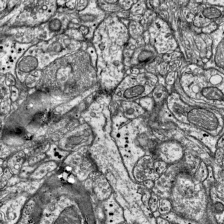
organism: Mouse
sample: Visual Cortex